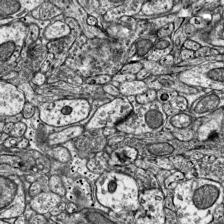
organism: Mouse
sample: Visual Cortex